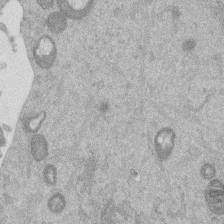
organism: Mouse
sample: Dividing mouse embryo 1 cell stage